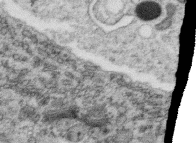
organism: C. elegans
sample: C. elegans oocyte; sperm cells